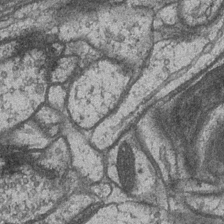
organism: Drosophila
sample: Optic medulla